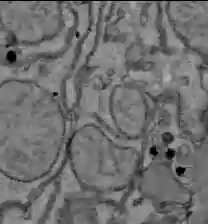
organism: C57BL Mouse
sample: Liver